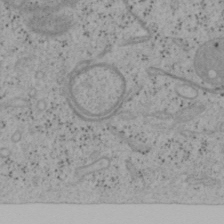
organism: Human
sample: HeLa cells